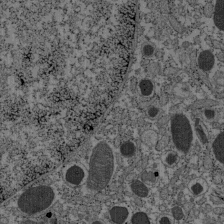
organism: C57BL Mouse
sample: Pancreatic islet